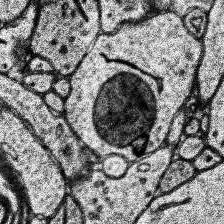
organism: Human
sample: Temporal Lobe